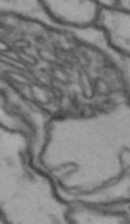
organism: Drosophila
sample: Brain